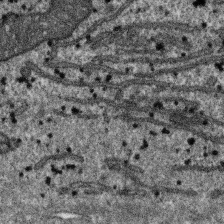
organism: Human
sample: Lung epithelial cells infected with SARS-CoV-2